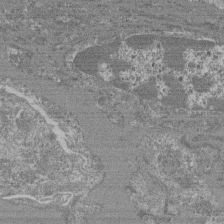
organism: Mouse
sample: Glomerulus